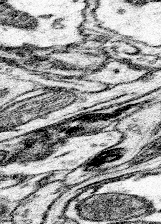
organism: Mouse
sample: Somatosensory cortex neuropil